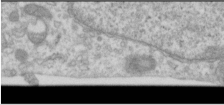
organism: Human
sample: Cilia; basal body in RPE cells